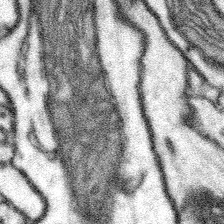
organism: Mouse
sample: Somatosensory cortex neuropil